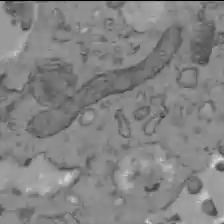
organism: C57BL Mouse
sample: Liver